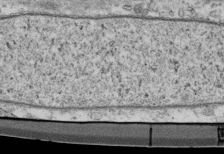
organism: Mouse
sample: Cilia; retinal pigment epithelium